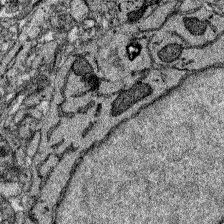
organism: Zebrafish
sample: Larval olfactory bulb